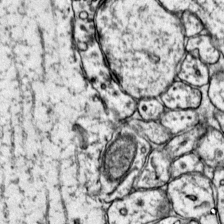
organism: Mouse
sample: Primary visual cortex